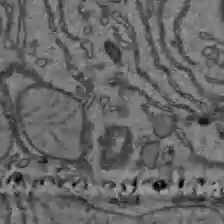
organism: C57BL Mouse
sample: Liver